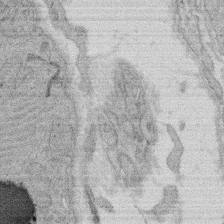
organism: Rat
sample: Salivary granule